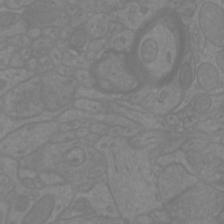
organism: Mouse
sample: Cortical neurons